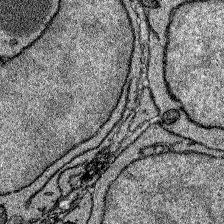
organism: Zebrafish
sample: Larval olfactory bulb